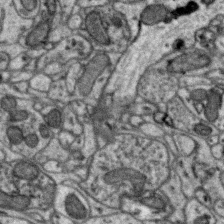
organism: Zebra finch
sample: Brain